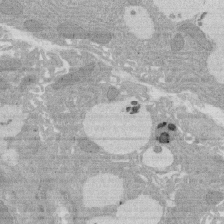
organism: Rat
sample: Salivary granule